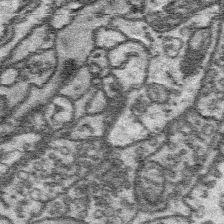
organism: Platynereis dumerilii